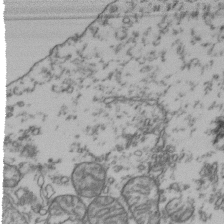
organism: Human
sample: Activated Jurkat CD4+ T cells